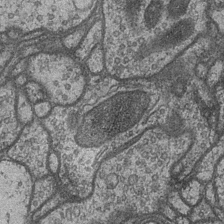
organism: Drosophila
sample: Optic medulla